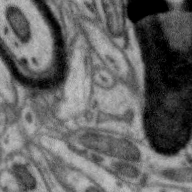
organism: Zebra finch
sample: Brain